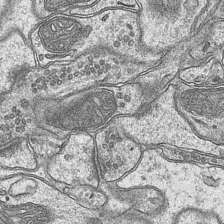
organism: Mouse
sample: CA1 Hippocampus